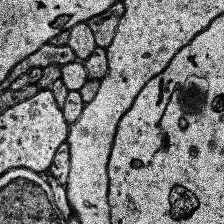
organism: Human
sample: Temporal Lobe